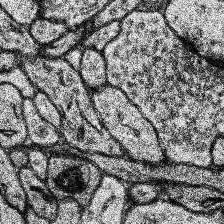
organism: Human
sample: Temporal Lobe